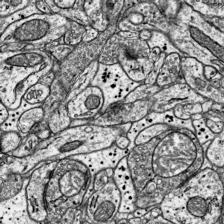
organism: Mouse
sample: Visual Cortex